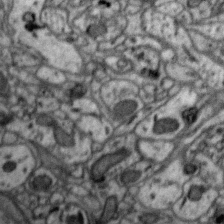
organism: Zebra finch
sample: Brain